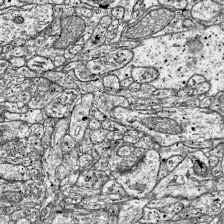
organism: Mouse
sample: Visual Cortex